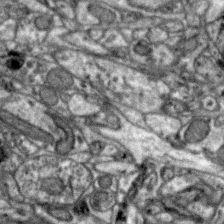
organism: Zebra finch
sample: Brain